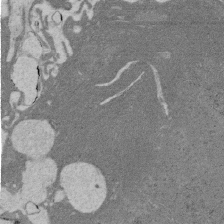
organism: Rat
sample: Salivary granule